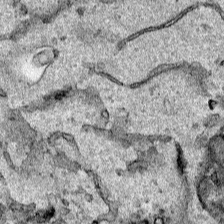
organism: Human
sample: Mitochondria in HCT116 cells